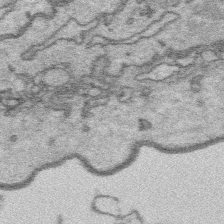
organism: Platynereis dumerilii